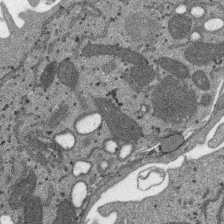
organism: Human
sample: Lung epithelial cells infected with SARS-CoV-2